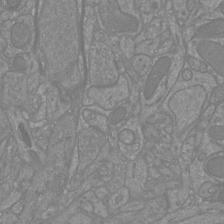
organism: Mouse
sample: Cortical neurons